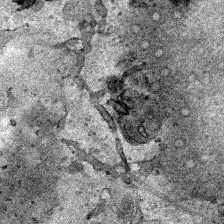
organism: Human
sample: Mitochondria in HCT116 cells